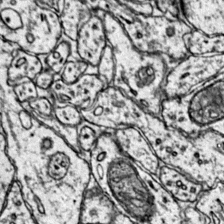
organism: Mouse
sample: Primary visual cortex